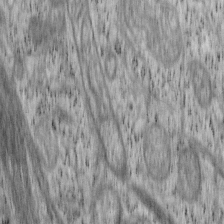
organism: Human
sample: HeLa cells